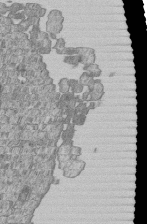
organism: Human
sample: MDA-MB-231 cells